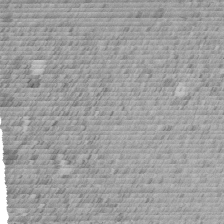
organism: C. elegans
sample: C. elegans embryo early stage